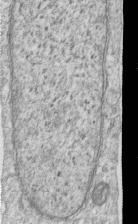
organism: Human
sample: Centriole in RPE cells